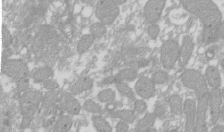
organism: Xenopus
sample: Cilia; centrioles in frog embryo cells